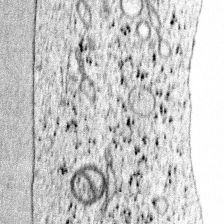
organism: Human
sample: HeLa cells